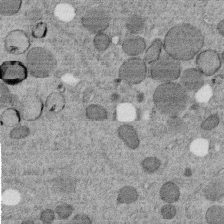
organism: C. elegans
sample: C. elegans embryo early stage